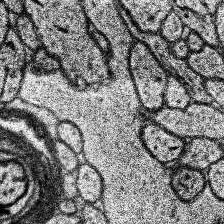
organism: Human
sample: Temporal Lobe